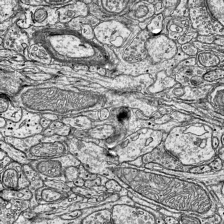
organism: Mouse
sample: Visual Cortex